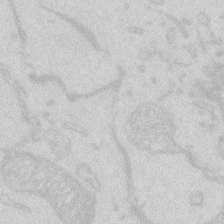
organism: Zebrafish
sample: Macrophage